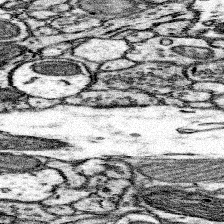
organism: Mouse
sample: Somatosensory cortex neuropil